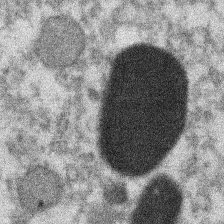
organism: Xenopus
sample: Cilia; centrioles in frog embryo cells